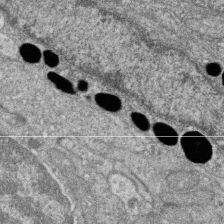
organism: Zebrafish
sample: Cilia; retinal pigment epithelium